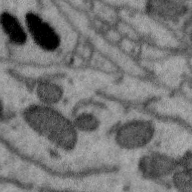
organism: Zebra finch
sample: Brain